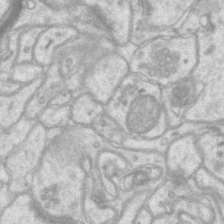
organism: Mouse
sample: CA1 Hippocampus